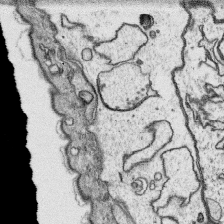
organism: Platynereis dumerilii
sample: Parapodia